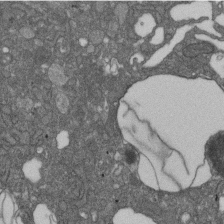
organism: Drosophila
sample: Nephrocyte